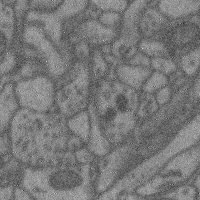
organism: Mouse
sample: Cerebral cortex